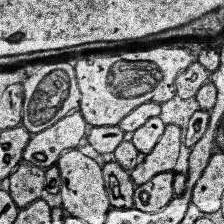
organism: Human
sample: Temporal Lobe